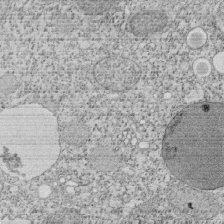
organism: Tetrahymena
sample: Cilia in tetrahymena